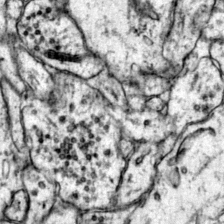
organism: Mouse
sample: Primary visual cortex